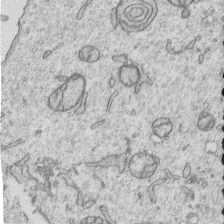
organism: Human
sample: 1205lu cells